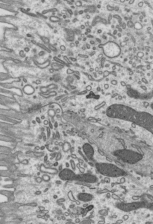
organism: Mouse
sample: Mouse epididymis efferent ductule cilia